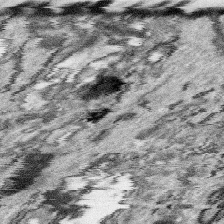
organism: Human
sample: HeLa cells